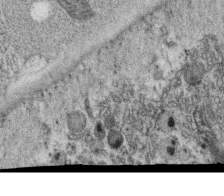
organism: C. elegans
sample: C. elegans oocyte; sperm cells